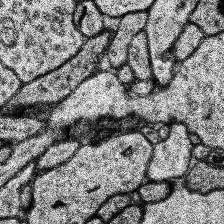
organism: Human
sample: Temporal Lobe